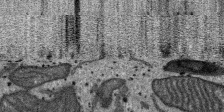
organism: Human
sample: Lung epithelial cells, uninfected (mock) control